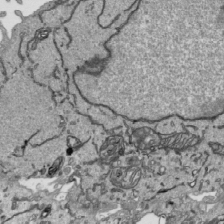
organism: Human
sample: Mitochondria in HCT116 cells